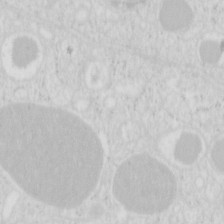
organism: Mouse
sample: Pancreas